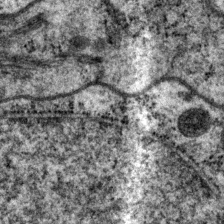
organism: P. pacificus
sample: Pharynx